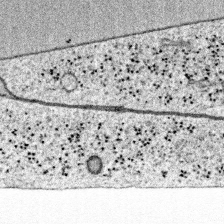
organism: Human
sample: HeLa cells